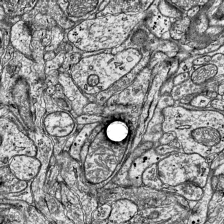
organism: Mouse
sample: Visual Cortex